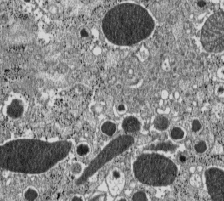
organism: C57BL Mouse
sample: Pancreatic islet